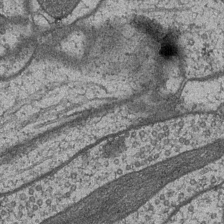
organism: Drosophila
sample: Optic medulla